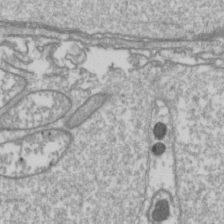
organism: Drosophila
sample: Cell division; meiosis; drosophila spermatocytes